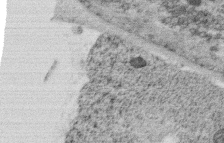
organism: C. elegans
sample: C. elegans oocyte; sperm cells